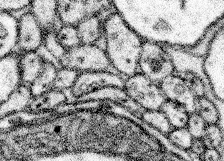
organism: Mouse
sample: Somatosensory cortex neuropil